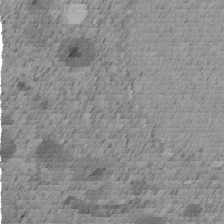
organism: C. elegans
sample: C. elegans embryo early stage